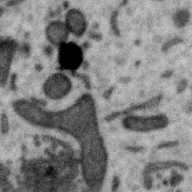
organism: Zebra finch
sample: Brain